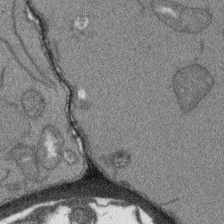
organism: Arabidopsis thaliana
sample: Root tip